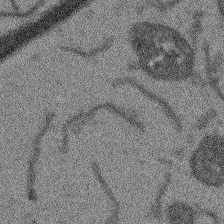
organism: Arabidopsis thaliana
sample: Root tip